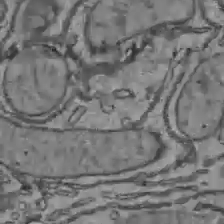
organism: C57BL Mouse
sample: Liver